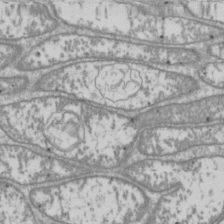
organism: Drosophila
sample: Cell division; meiosis; drosophila spermatocytes